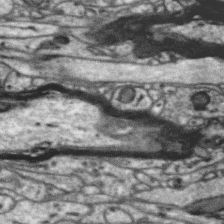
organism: Zebra finch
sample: Brain